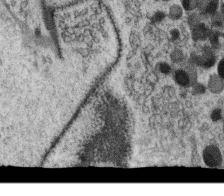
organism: C. elegans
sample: C. elegans oocyte; sperm cells